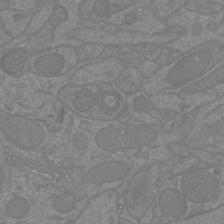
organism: Mouse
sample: Cortical neurons